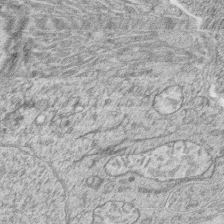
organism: Zebrafish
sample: synaptic ribbons in rod cells and cone cells